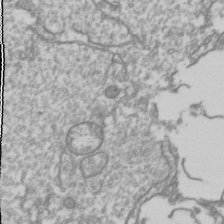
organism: Drosophila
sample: Cell division; meiosis; drosophila spermatocytes